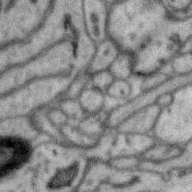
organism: Zebra finch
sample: Brain